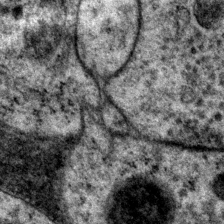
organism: P. pacificus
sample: Pharynx